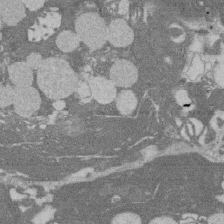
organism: Rat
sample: Salivary granule